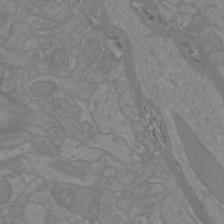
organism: Mouse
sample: Cortical neurons